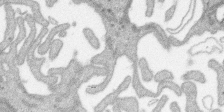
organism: Human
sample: Lung epithelial cells infected with SARS-CoV-2